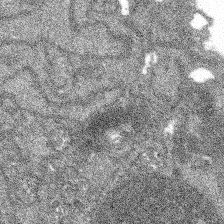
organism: Spongilla lacustris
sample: Multiple